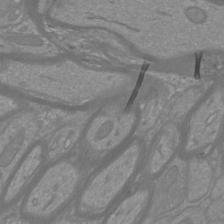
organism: Mouse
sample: Cortical neurons